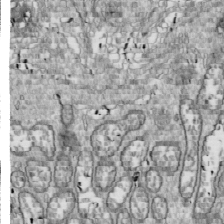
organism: Drosophila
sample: Cell division; meiosis; drosophila spermatocytes